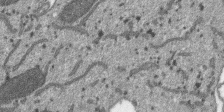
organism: Human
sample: Lung epithelial cells infected with SARS-CoV-2